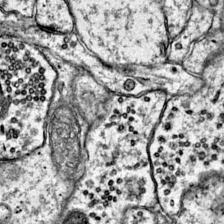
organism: Mouse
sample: Primary visual cortex